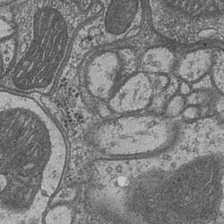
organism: Drosophila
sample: Optic medulla